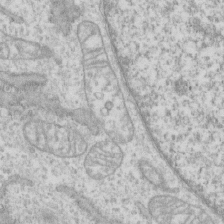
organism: Human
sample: CRL-1474